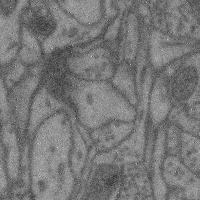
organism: Mouse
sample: Cerebral cortex